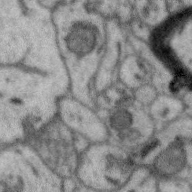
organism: Zebra finch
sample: Brain